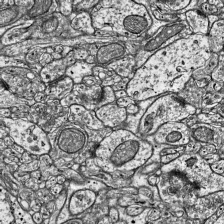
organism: Mouse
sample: Visual Cortex